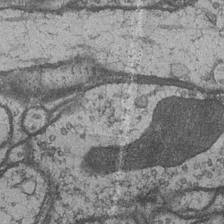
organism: Drosophila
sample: Optic medulla